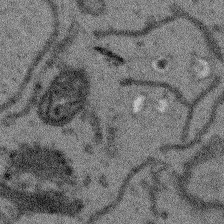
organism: Arabidopsis thaliana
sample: Root tip